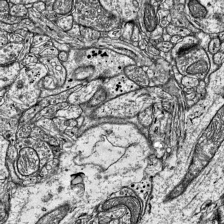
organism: Mouse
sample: Visual Cortex